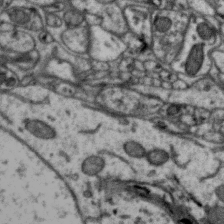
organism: Zebra finch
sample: Brain